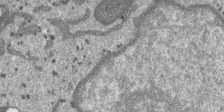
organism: Human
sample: Lung epithelial cells infected with SARS-CoV-2